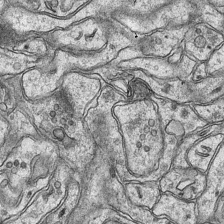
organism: Mouse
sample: CA1 Hippocampus